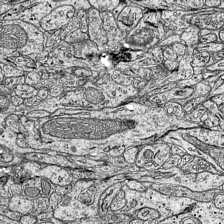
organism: Mouse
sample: Visual Cortex